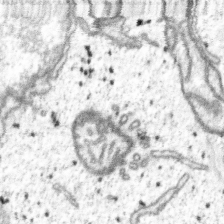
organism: Human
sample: HeLa cells